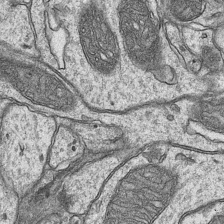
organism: Mouse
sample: CA1 Hippocampus